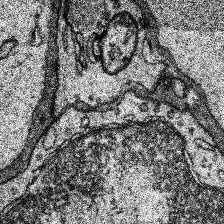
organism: Human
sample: Temporal Lobe